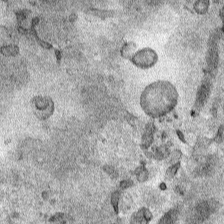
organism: Human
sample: Mitochondria in HCT116 cells